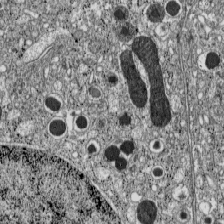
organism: C57BL Mouse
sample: Pancreatic islet